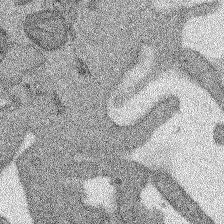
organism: Human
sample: HeLa cells